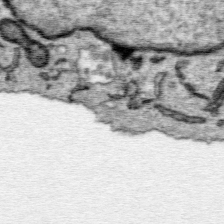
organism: Human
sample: HeLa cells